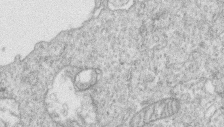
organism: Human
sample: HeLa cell HIV synapse